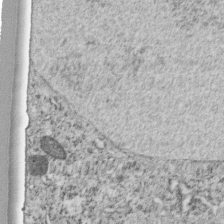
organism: C. elegans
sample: C. elegans embryo early stage